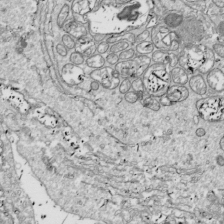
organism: Drosophila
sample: Cell division; meiosis; drosophila spermatocytes